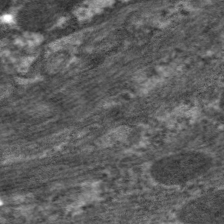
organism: C. elegans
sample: Pharynx